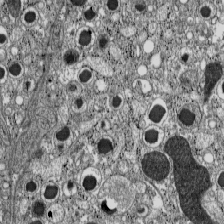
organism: C57BL Mouse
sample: Pancreatic islet